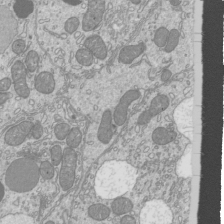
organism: Mouse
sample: Cilia; mouse epididymis